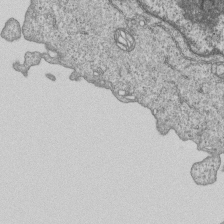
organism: Human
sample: MDA-MB-231 cells